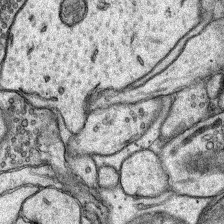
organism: Rat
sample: Hippocampus